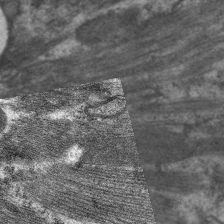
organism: C. elegans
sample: Pharynx